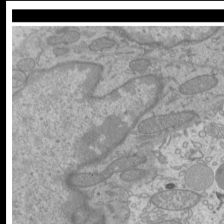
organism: Mouse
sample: Cilia; mouse epididymis